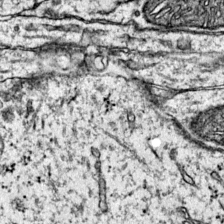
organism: Mouse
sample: Primary visual cortex